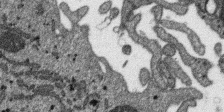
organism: Human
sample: Lung epithelial cells infected with SARS-CoV-2